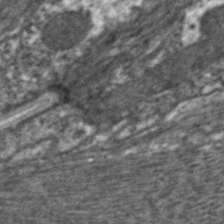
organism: C. elegans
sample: Pharynx